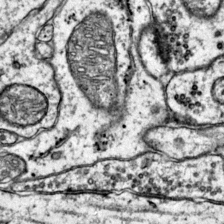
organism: Mouse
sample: Primary visual cortex